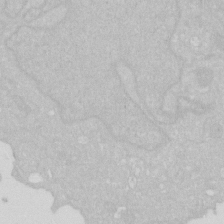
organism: Human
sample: HIV infected U937 cells